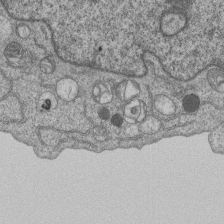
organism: Human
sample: MDA-MB-231 cells